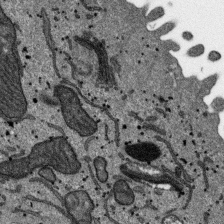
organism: Human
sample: Lung epithelial cells, uninfected (mock) control